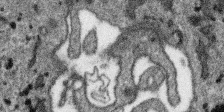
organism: Human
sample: Lung epithelial cells infected with SARS-CoV-2